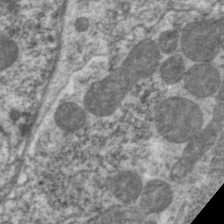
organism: C. elegans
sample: Pharynx